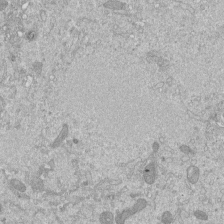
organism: Mouse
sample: ED-1 cell nuclei; centrioles